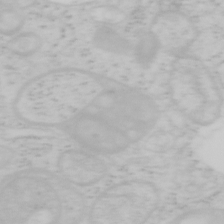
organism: Mouse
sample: OT-I killer T cells with ID8 ovarian cancer cells